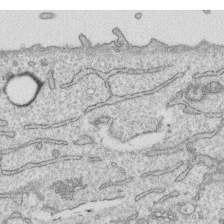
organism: Human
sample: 1205lu cells